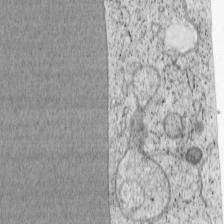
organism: African green monkey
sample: COS-7 cells